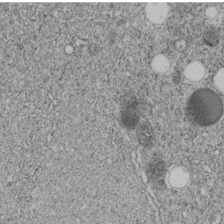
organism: C. elegans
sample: C. elegans embryo early stage